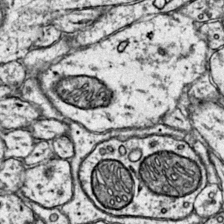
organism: Mouse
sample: Primary visual cortex